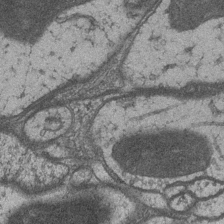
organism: Drosophila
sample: Optic medulla